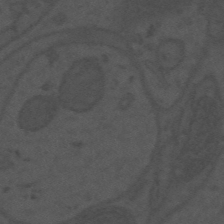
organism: Mouse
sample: Suprachiasmatic nucleus